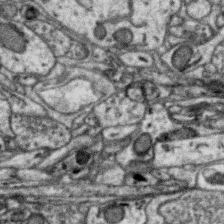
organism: Zebra finch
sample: Brain